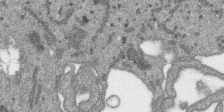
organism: Human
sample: Lung epithelial cells infected with SARS-CoV-2